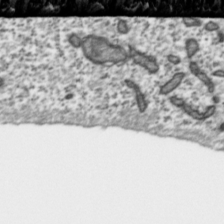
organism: Toxoplasma gondii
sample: Parasites in a vacuole inside a host cell